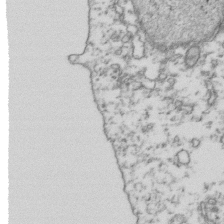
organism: Human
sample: Activated Jurkat CD4+ T cells